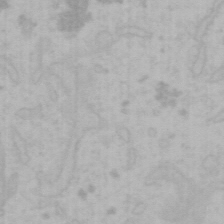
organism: Mouse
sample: Choroid plexus